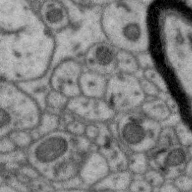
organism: Zebra finch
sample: Brain